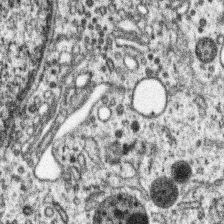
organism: Human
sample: HeLa cells